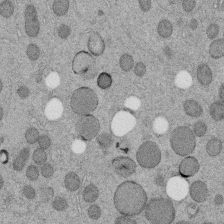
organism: C. elegans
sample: C. elegans embryo early stage